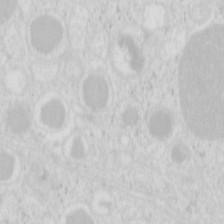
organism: Mouse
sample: Pancreas